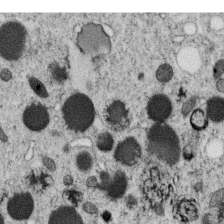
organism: C. elegans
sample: C. elegans oocyte; sperm cells